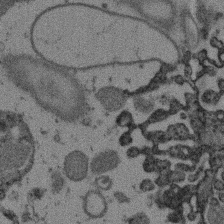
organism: Mouse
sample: Dividing mouse embryo 1 cell stage